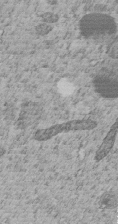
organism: C. elegans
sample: C. elegans embryo early stage